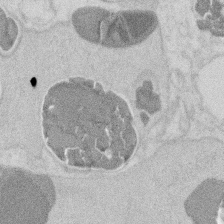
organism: Mouse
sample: T cell stromal cell synapse